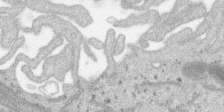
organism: Human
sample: Lung epithelial cells infected with SARS-CoV-2